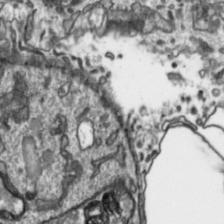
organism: Toxoplasma gondii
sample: Parasites in a vacuole inside a host cell